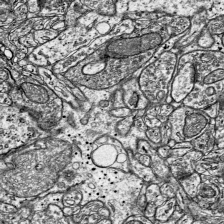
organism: Mouse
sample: Visual Cortex